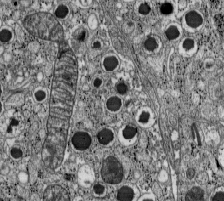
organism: C57BL Mouse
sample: Pancreatic islet